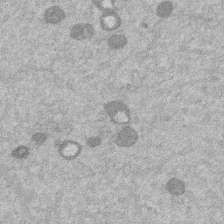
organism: Mouse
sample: Dividing mouse embryo 1 cell stage